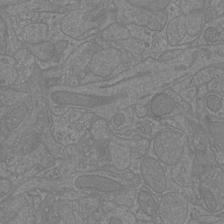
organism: Mouse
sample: Cortical neurons